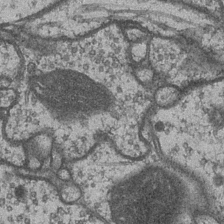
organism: Drosophila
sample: Optic medulla